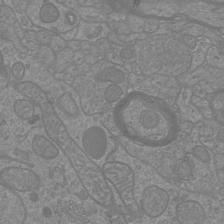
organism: Mouse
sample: Cortical neurons